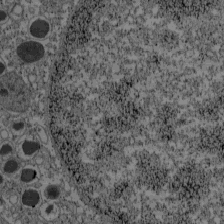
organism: C57BL Mouse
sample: Pancreatic islet